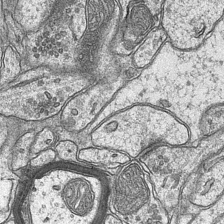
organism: Mouse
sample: CA1 Hippocampus